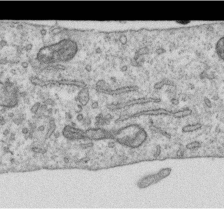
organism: Human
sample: Centriole in RPE cells